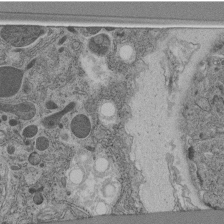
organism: C. elegans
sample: C. elegans pharynx